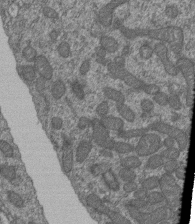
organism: Human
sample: Retinal organoid Rod and Cone cells